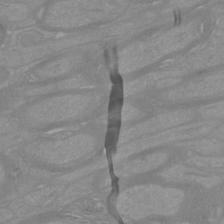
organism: Mouse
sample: Cortical neurons